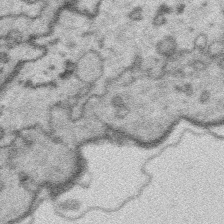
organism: Platynereis dumerilii